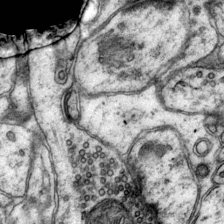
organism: Mouse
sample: Primary visual cortex